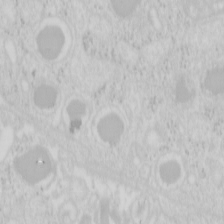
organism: Mouse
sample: Pancreas